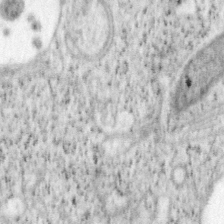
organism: Mouse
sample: OT-I killer T cells with ID8 ovarian cancer cells